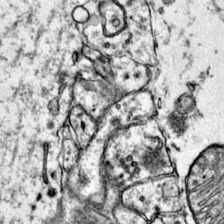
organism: Mouse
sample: Primary visual cortex